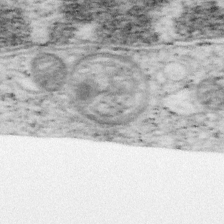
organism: Mouse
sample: OT-I killer T cells with ID8 ovarian cancer cells